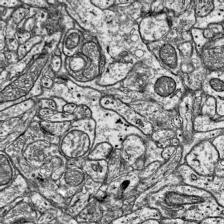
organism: Mouse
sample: Visual Cortex